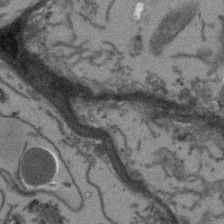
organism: Arabidopsis thaliana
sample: Root tip